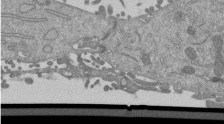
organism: Mouse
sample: ED-1 cell nuclei; centrioles